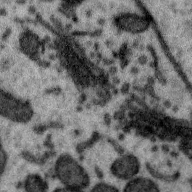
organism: Zebra finch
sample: Brain